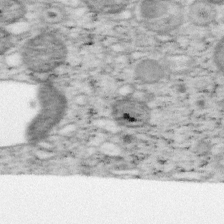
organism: Mouse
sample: OT-I killer T cells with ID8 ovarian cancer cells